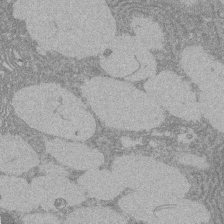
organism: Rat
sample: Salivary granule